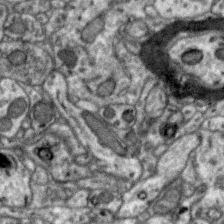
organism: Zebra finch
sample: Brain